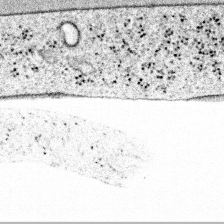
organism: Human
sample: HeLa cells